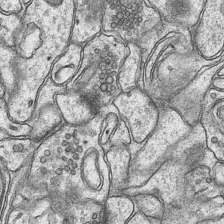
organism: Mouse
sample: CA1 Hippocampus